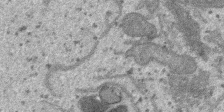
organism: Human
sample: Lung epithelial cells infected with SARS-CoV-2